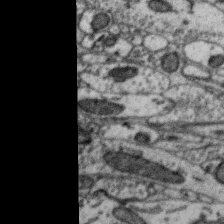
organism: Zebra finch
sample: Brain